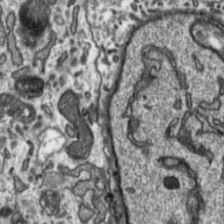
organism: Toxoplasma gondii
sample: Parasites in a vacuole inside a host cell